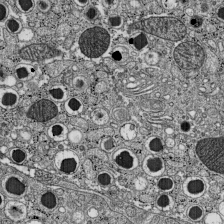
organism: C57BL Mouse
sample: Pancreatic islet